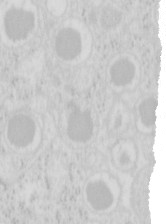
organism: Mouse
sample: Pancreas